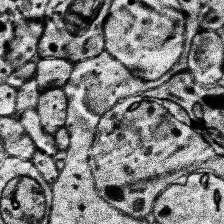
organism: Human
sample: Temporal Lobe